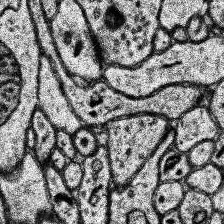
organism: Human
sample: Temporal Lobe